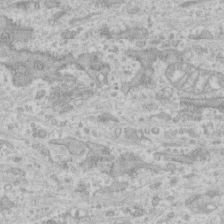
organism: Human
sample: CRL-1474